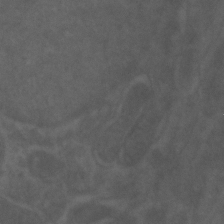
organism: Zebrafish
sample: Zebrafish embryo